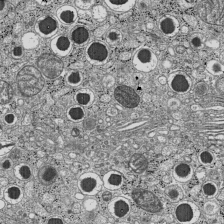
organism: C57BL Mouse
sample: Pancreatic islet